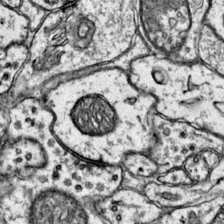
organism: Mouse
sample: Primary visual cortex